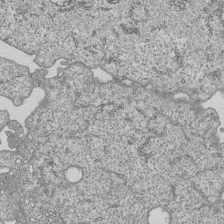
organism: Human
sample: MDA-MB-231 cells